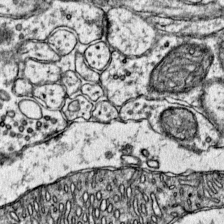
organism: Mouse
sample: Primary visual cortex